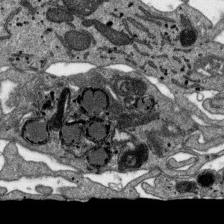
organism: Human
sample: Lung epithelial cells, uninfected (mock) control